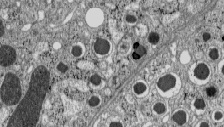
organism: C57BL Mouse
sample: Pancreatic islet